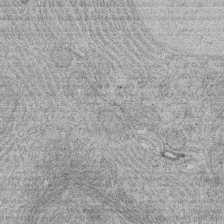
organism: Rat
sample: Salivary granule